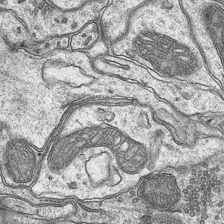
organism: Mouse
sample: CA1 Hippocampus